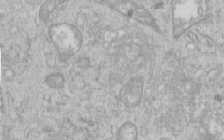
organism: Human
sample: Centriole in RPE cells